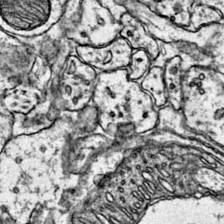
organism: Mouse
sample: Primary visual cortex